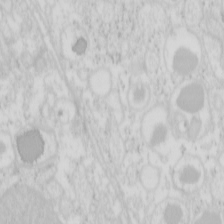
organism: Mouse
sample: Pancreas